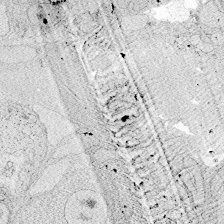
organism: Zebrafish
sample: Whole-Brain